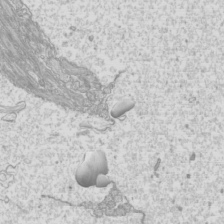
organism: Mouse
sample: Cilia; mouse epididymis